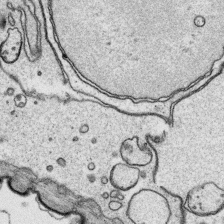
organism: Platynereis dumerilii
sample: Parapodia